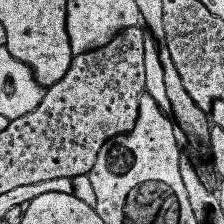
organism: Human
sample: Temporal Lobe